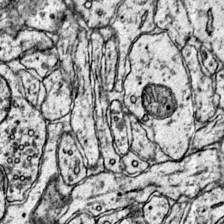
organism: Mouse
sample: Primary visual cortex